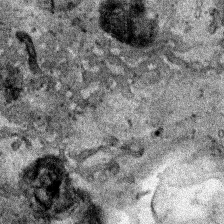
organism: Human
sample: Mitochondria in HCT116 cells